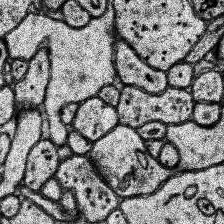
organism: Human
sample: Temporal Lobe